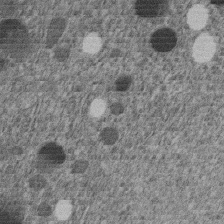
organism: C. elegans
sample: C. elegans embryo early stage